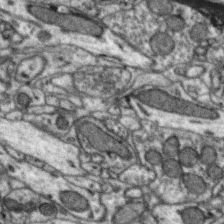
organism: Zebra finch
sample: Brain